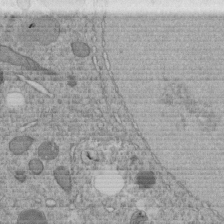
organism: C. elegans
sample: C. elegans embryo early stage